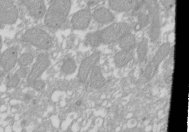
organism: Xenopus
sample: Cilia; centrioles in frog embryo cells